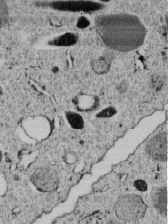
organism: C. elegans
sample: C. elegans embryo early stage